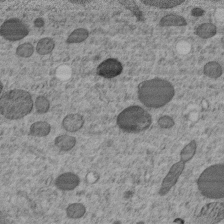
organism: C. elegans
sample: C. elegans embryo early stage